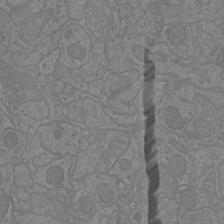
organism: Mouse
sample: Cortical neurons